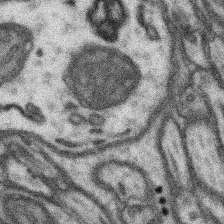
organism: Mouse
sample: Somatosensory cortex neuropil